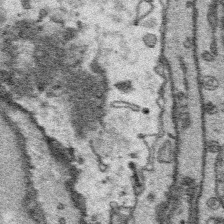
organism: Platynereis dumerilii